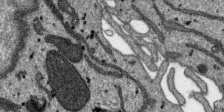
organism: Human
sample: Lung epithelial cells, uninfected (mock) control